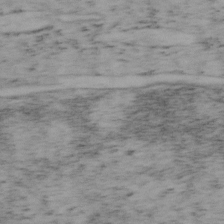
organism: Mouse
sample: OT-I killer T cells with ID8 ovarian cancer cells